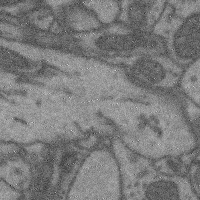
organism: Mouse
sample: Cerebral cortex